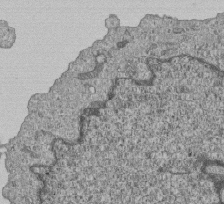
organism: Human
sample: MDA-MB-231 cells